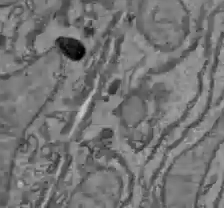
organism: C57BL Mouse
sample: Liver